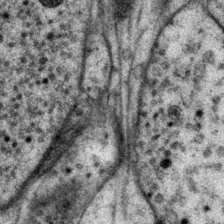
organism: P. pacificus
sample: Pharynx